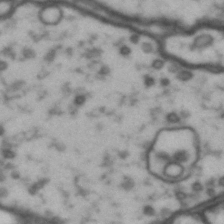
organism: Drosophila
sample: Brain